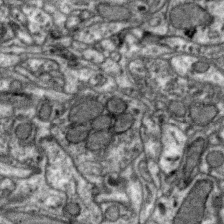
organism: Zebra finch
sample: Brain